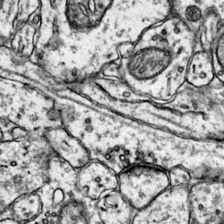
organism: Mouse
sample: Primary visual cortex